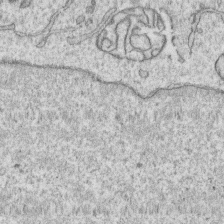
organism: Human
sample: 1205lu cells